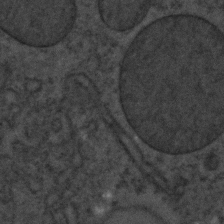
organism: C. elegans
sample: C. elegans embryo